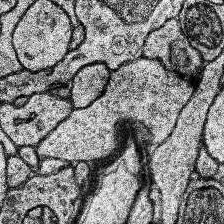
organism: Human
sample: Temporal Lobe